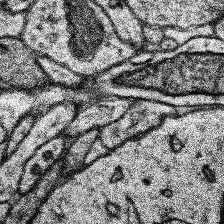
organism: Human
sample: Temporal Lobe